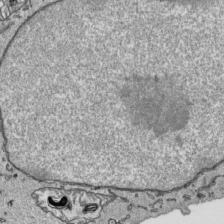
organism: Human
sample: Mitochondria in HCT116 cells